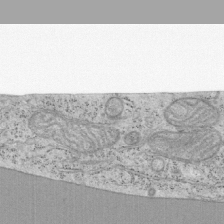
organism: Human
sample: HeLa cells